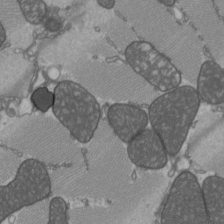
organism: C57BL Mouse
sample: Heart